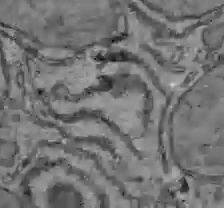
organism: C57BL Mouse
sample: Liver